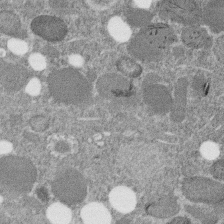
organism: C. elegans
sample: C. elegans embryo early stage